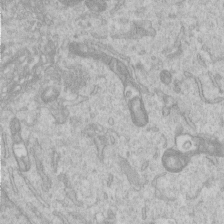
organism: Human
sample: Centriole in RPE cells